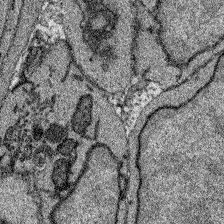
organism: Zebrafish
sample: Larval olfactory bulb